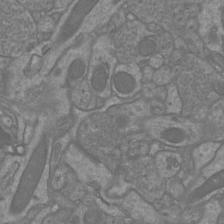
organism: Mouse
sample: Cortical neurons